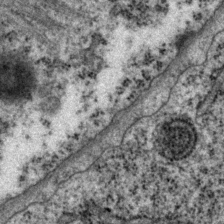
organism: P. pacificus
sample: Pharynx